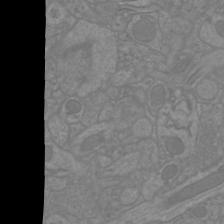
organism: Mouse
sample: Cortical neurons